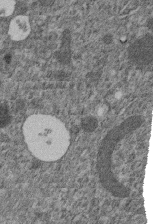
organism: C. elegans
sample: C. elegans embryo early stage